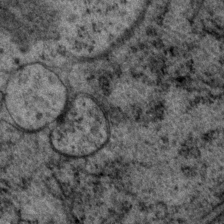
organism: P. pacificus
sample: Pharynx